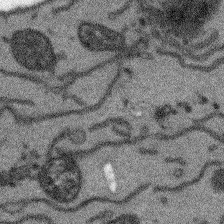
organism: Arabidopsis thaliana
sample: Root tip